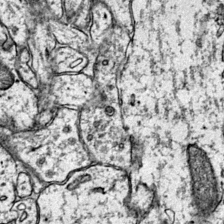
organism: Mouse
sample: Primary visual cortex